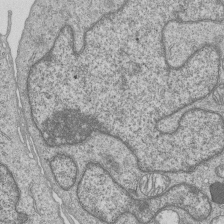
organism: Human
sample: MDA-MB-231 cells